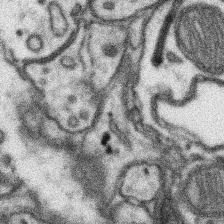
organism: Mouse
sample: Somatosensory cortex neuropil